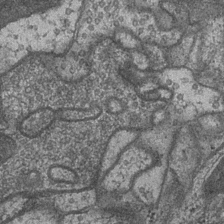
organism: Drosophila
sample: Optic medulla